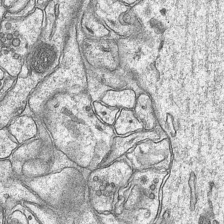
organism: Mouse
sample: CA1 Hippocampus